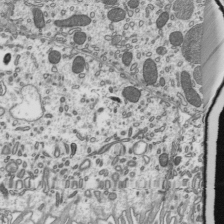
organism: Mouse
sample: Mouse epididymis efferent ductule cilia